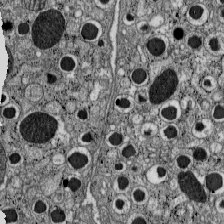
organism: C57BL Mouse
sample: Pancreatic islet